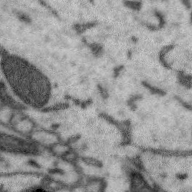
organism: Zebra finch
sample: Brain